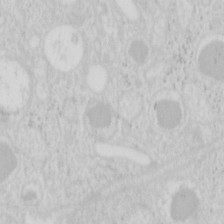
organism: Mouse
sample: Pancreas